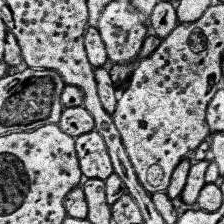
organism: Human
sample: Temporal Lobe